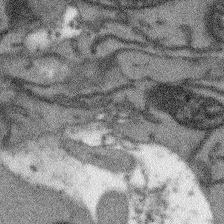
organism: Arabidopsis thaliana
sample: Root tip